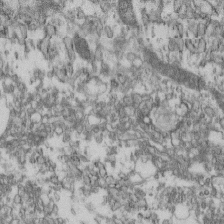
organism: Mouse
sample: Cilia; retinal pigment epithelium